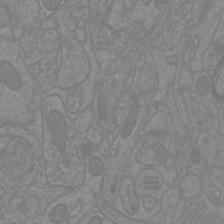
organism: Mouse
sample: Cortical neurons